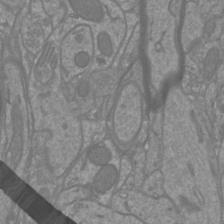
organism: Mouse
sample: Cortical neurons